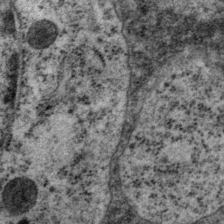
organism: P. pacificus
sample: Pharynx